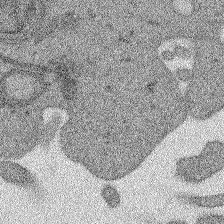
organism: Human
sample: HeLa cells